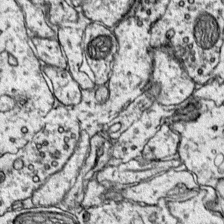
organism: Mouse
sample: Primary visual cortex